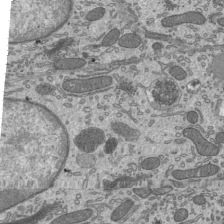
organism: Mouse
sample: Mouse epididymis efferent ductule cilia